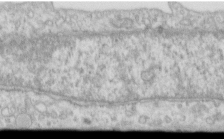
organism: Human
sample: Centriole in RPE cells